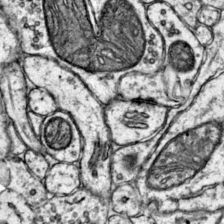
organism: Mouse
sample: Primary visual cortex